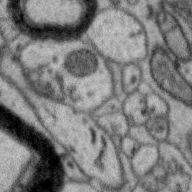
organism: Zebra finch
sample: Brain